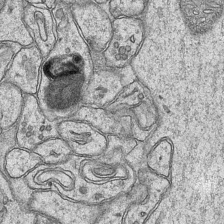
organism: Mouse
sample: CA1 Hippocampus